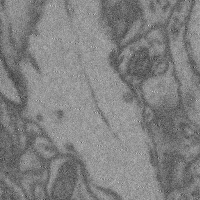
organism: Mouse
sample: Cerebral cortex